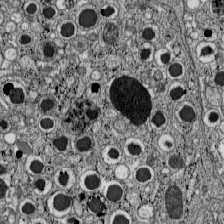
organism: C57BL Mouse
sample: Pancreatic islet